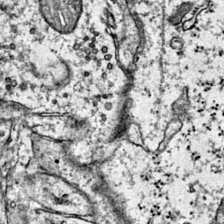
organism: Mouse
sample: Primary visual cortex